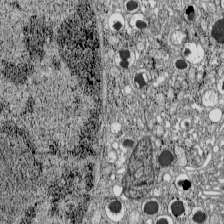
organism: C57BL Mouse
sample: Pancreatic islet